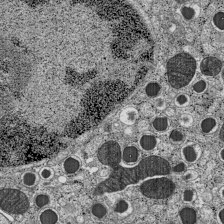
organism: C57BL Mouse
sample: Pancreatic islet